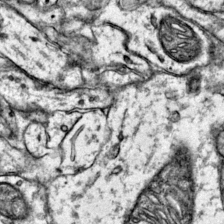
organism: Mouse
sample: Primary visual cortex